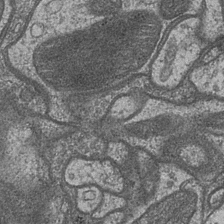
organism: Drosophila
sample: Optic medulla